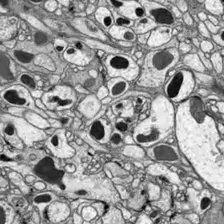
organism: Drosophila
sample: Optic lobe